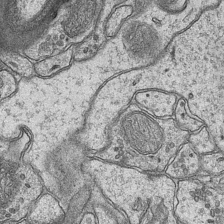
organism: Mouse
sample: CA1 Hippocampus